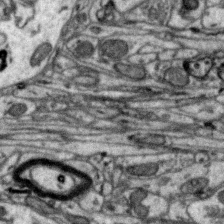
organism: Zebra finch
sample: Brain